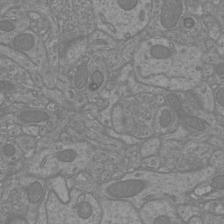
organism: Mouse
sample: Cortical neurons